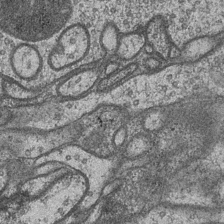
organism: Drosophila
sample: Optic medulla